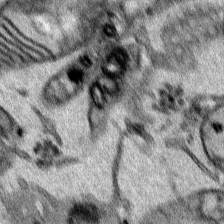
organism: Human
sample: Mitochondria in HCT116 cells